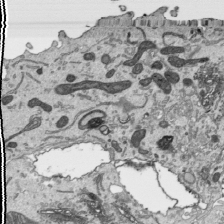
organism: Human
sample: Mitochondria in HCT116 cells